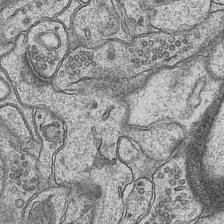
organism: Mouse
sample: CA1 Hippocampus